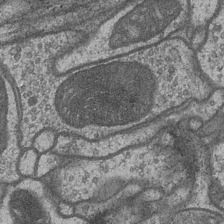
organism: Drosophila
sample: Optic medulla